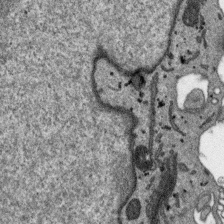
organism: Human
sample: Lung epithelial cells, uninfected (mock) control